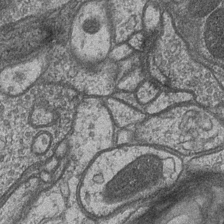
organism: Drosophila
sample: Optic medulla